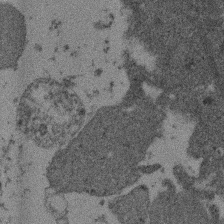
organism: Mouse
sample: Dividing mouse embryo 1 cell stage